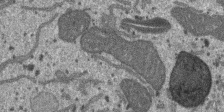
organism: Human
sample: Lung epithelial cells infected with SARS-CoV-2